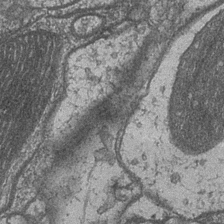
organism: Drosophila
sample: Optic medulla